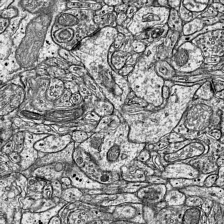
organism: Mouse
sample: Visual Cortex